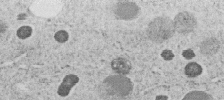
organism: C. elegans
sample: C. elegans embryo early stage